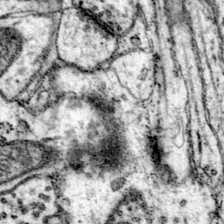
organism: Mouse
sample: Primary visual cortex